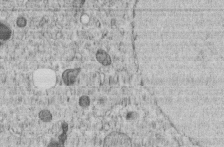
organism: C. elegans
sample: C. elegans embryo early stage